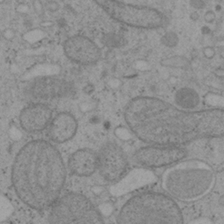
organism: Mouse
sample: OT-I killer T cells with ID8 ovarian cancer cells